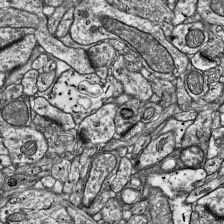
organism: Mouse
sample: Visual Cortex